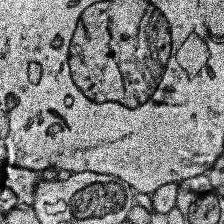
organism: Human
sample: Temporal Lobe